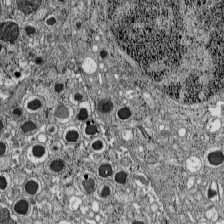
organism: C57BL Mouse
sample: Pancreatic islet